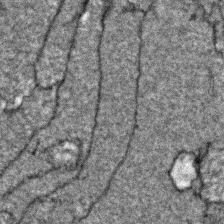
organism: Zebrafish